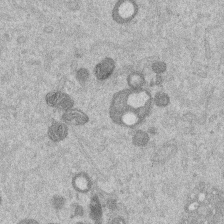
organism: Mouse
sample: Dividing mouse embryo 1 cell stage